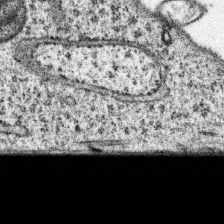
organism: Human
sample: HeLa cells